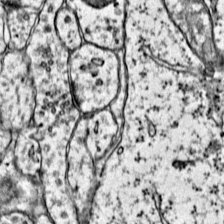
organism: Mouse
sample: Primary visual cortex